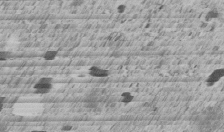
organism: C. elegans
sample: C. elegans embryo early stage